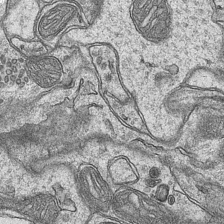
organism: Mouse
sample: CA1 Hippocampus